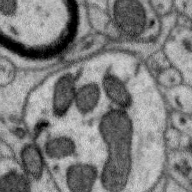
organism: Zebra finch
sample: Brain